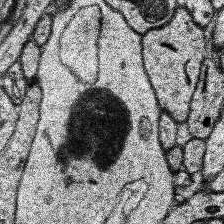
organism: Human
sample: Temporal Lobe